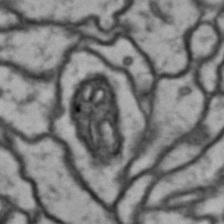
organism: Drosophila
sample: Brain